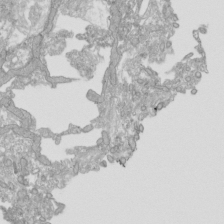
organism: Human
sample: Mitochondria in HCT116 cells